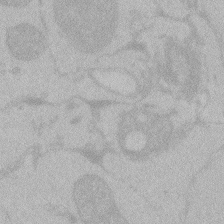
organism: Zebrafish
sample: Macrophage infected with Toxoplasma gondii